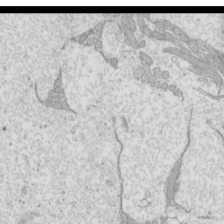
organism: Mouse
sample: Cilia; mouse epididymis